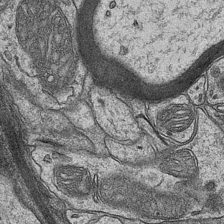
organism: Mouse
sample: CA1 Hippocampus